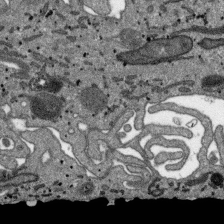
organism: Human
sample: Lung epithelial cells, uninfected (mock) control